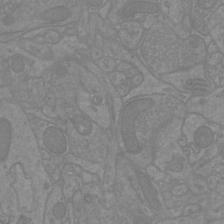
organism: Mouse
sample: Cortical neurons